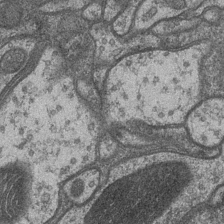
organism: Drosophila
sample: Optic medulla